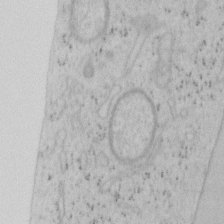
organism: Human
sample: HeLa cells